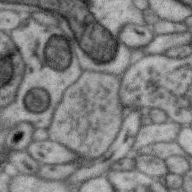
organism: Zebra finch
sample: Brain